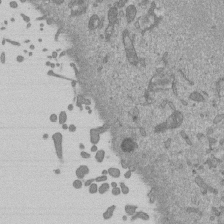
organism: Mouse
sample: ED-1 cell nuclei; centrioles